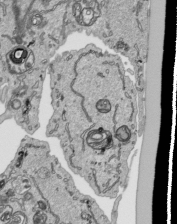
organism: Human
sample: Mitochondria in HCT116 cells